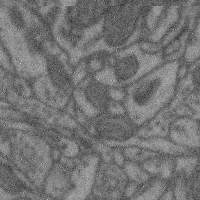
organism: Mouse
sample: Cerebral cortex